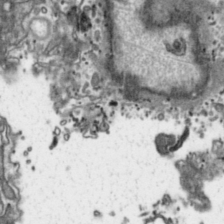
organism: Toxoplasma gondii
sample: Parasites in a vacuole inside a host cell